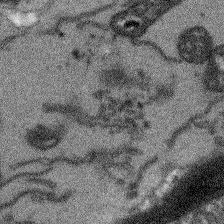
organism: Arabidopsis thaliana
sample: Root tip